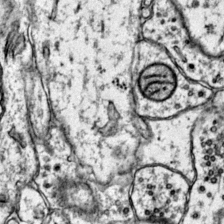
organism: Mouse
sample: Primary visual cortex